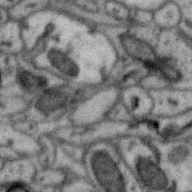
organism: Zebra finch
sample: Brain